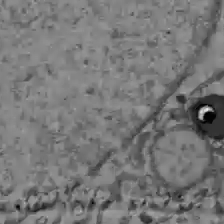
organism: C57BL Mouse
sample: Liver